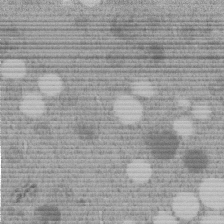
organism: C. elegans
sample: C. elegans embryo early stage